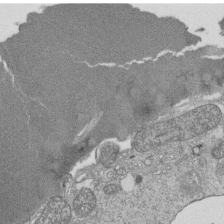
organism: Tetrahymena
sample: Cilia in tetrahymena